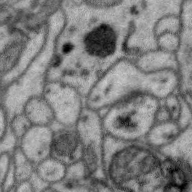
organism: Zebra finch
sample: Brain